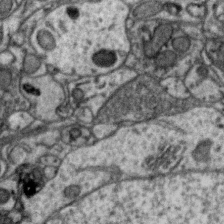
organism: Zebra finch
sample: Brain